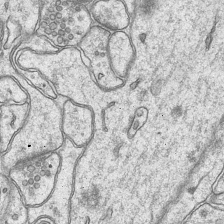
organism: Mouse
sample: CA1 Hippocampus